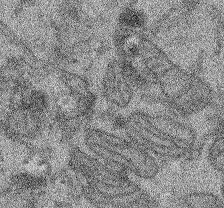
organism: Human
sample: HeLa cells